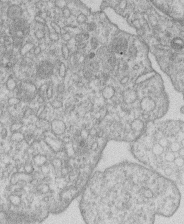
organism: Human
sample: Macrophage cells